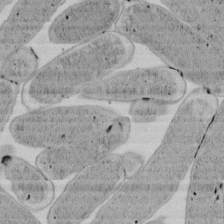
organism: E. coli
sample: Bacterial nucleoid